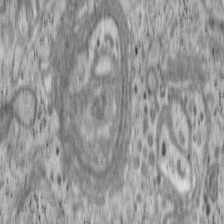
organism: Human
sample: HeLa cells